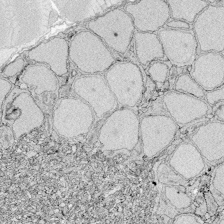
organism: Zebrafish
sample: Whole-Brain